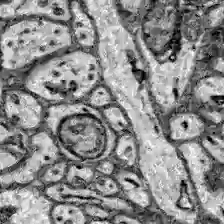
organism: Zebrafish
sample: Brain